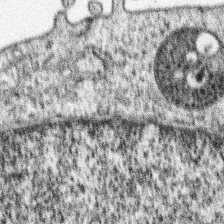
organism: Human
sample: HeLa cells